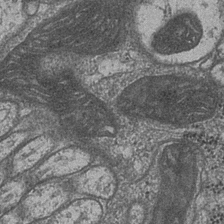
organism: Drosophila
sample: Optic medulla